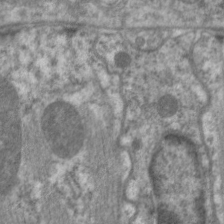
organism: C. elegans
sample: Pharynx